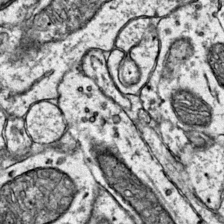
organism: Mouse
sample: Primary visual cortex